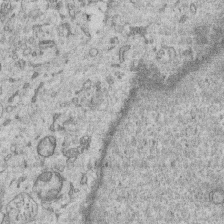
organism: Human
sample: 1205lu cells